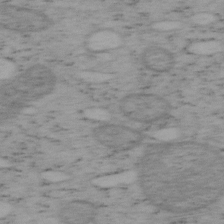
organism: Mouse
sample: OT-I killer T cells with ID8 ovarian cancer cells